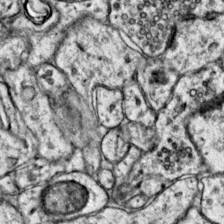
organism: Mouse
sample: Primary visual cortex